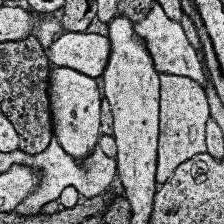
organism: Human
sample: Temporal Lobe